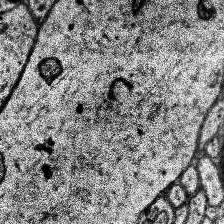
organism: Human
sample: Temporal Lobe